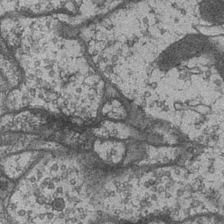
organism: Drosophila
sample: Optic medulla